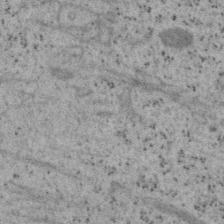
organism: Human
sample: HeLa cells